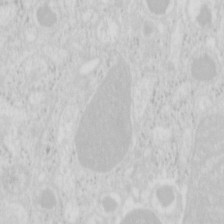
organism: Mouse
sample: Pancreas